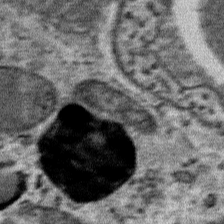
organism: Mouse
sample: Mouse Salivary gland